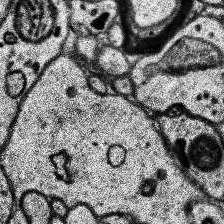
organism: Human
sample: Temporal Lobe